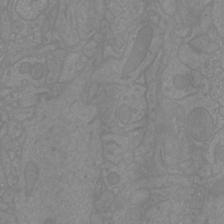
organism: Mouse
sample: Cortical neurons